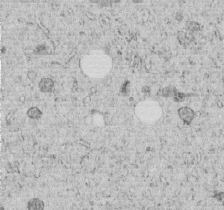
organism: C. elegans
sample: C. elegans embryo early stage